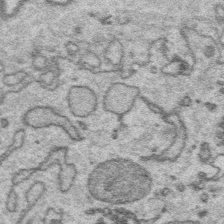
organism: Platynereis dumerilii